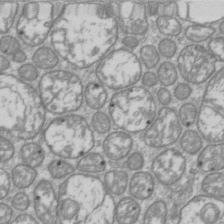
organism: Drosophila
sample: Cell division; meiosis; drosophila spermatocytes